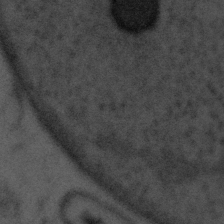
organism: Tuwongella immobilis